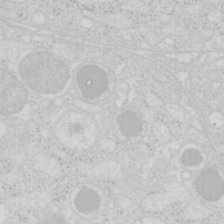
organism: Mouse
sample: Pancreas